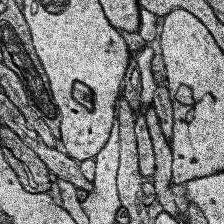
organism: Human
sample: Temporal Lobe